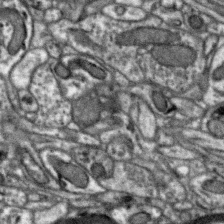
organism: Zebra finch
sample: Brain